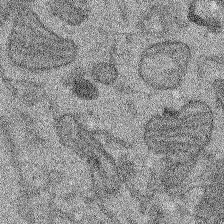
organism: Human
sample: HeLa cells